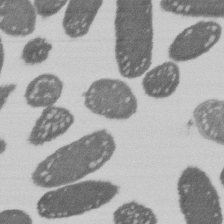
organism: E. coli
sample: Bacterial nucleoid